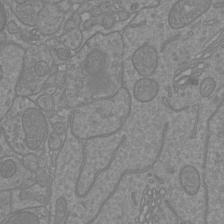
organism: Mouse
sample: Cortical neurons